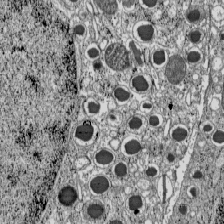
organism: C57BL Mouse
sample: Pancreatic islet